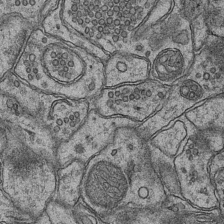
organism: Mouse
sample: CA1 Hippocampus